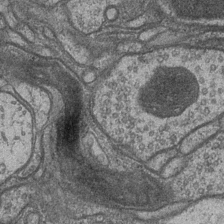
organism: Drosophila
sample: Optic medulla